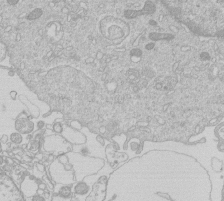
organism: Human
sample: Macrophage cells